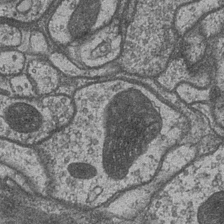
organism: Drosophila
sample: Optic medulla